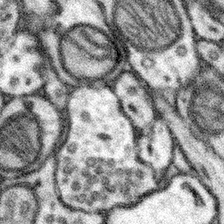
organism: Mouse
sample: Somatosensory cortex neuropil